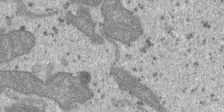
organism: Human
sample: Lung epithelial cells infected with SARS-CoV-2